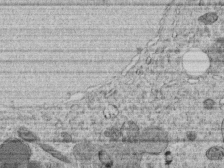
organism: C. elegans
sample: C. elegans embryo early stage